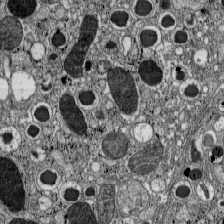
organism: C57BL Mouse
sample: Pancreatic islet